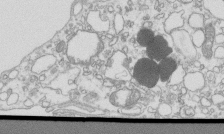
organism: Mouse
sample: Macrophages